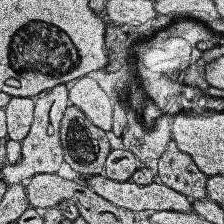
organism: Human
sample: Temporal Lobe